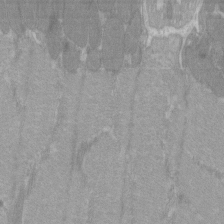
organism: C57BL Mouse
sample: Tibialis anterior muscle cell